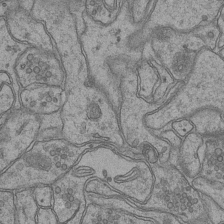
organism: Mouse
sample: CA1 Hippocampus